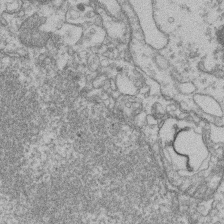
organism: Mouse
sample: T cell stromal cell synapse